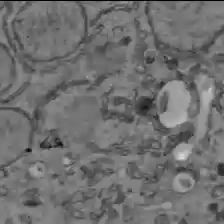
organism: C57BL Mouse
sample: Liver